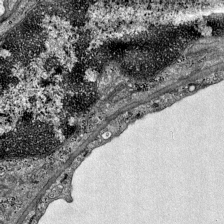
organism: Mouse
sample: Visual Cortex